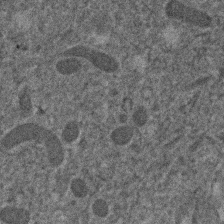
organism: Human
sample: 1205lu cells